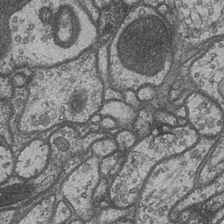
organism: Drosophila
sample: Optic medulla